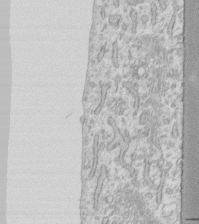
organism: Human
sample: Fibroblast cells